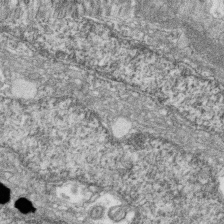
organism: Zebrafish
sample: Cilia; retinal pigment epithelium